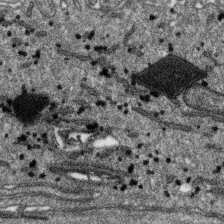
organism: Human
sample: Lung epithelial cells infected with SARS-CoV-2